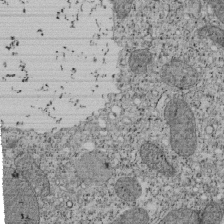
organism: Tetrahymena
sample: Cilia in tetrahymena